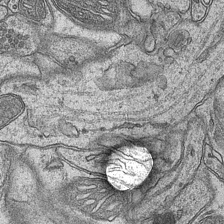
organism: Mouse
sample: CA1 Hippocampus